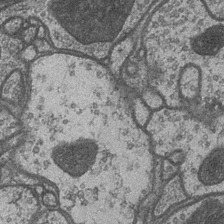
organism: Drosophila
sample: Optic medulla